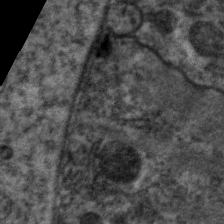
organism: C. elegans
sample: Pharynx